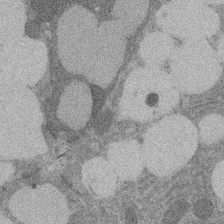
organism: Rat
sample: Salivary granule